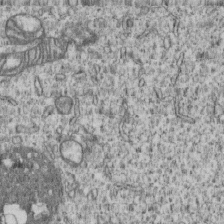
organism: Human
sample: MDA-MB-231 cells